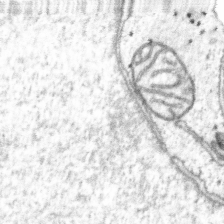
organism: Human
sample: HeLa cells